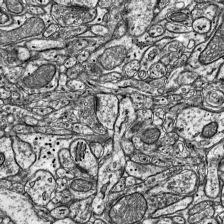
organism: Mouse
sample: Visual Cortex